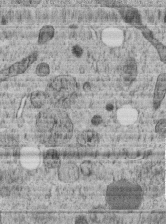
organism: C. elegans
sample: C. elegans embryo early stage